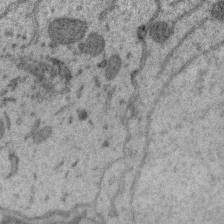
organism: Zebra finch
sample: Brain